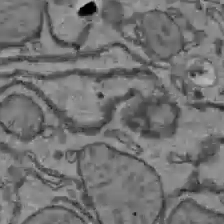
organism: C57BL Mouse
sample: Liver